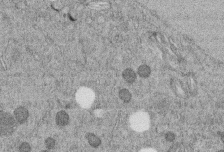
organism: C. elegans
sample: C. elegans embryo early stage